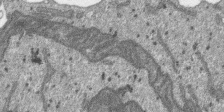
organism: Human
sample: Lung epithelial cells infected with SARS-CoV-2